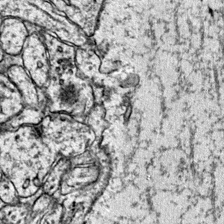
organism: Mouse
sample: Primary visual cortex